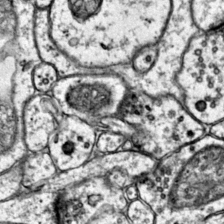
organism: Mouse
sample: Primary visual cortex